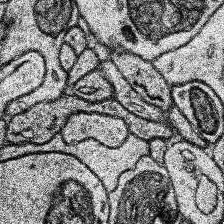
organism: Human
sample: Temporal Lobe